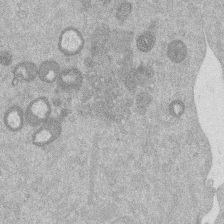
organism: Mouse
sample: Dividing mouse embryo 1 cell stage